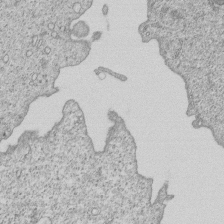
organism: Human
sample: MDA-MB-231 cells